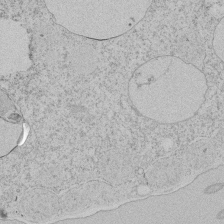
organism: Tetrahymena